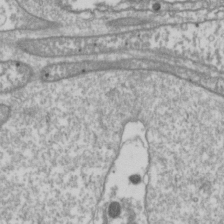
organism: Drosophila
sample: Cell division; meiosis; drosophila spermatocytes